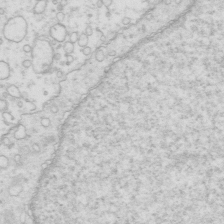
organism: Mouse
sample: Multiciliated cells